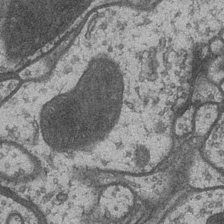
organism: Drosophila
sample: Optic medulla